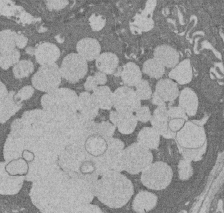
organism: Rat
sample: Salivary granule